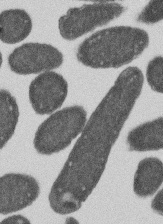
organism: E. coli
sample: Bacterial nucleoid